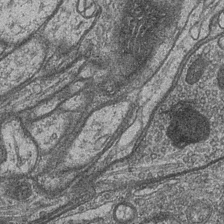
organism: Drosophila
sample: Optic medulla